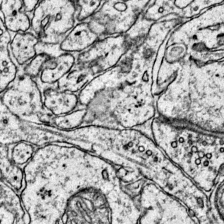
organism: Mouse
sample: Primary visual cortex